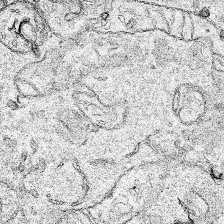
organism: Human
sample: Mitochondria in HCT116 cells